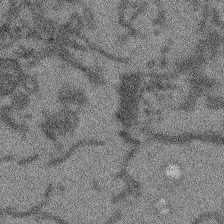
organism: Arabidopsis thaliana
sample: Root tip